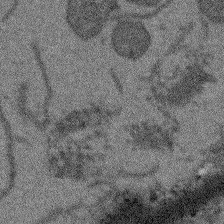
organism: Arabidopsis thaliana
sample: Root tip